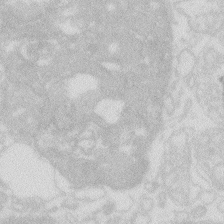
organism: Zebrafish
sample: Macrophage